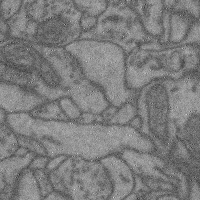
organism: Mouse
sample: Cerebral cortex